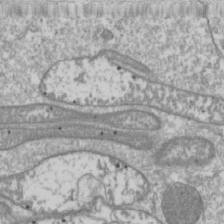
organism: Drosophila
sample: Cell division; meiosis; drosophila spermatocytes